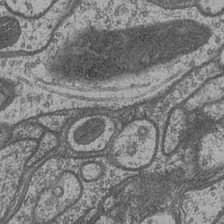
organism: Drosophila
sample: Optic medulla